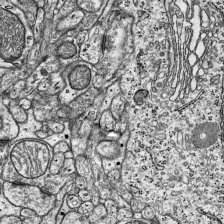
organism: Mouse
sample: Visual Cortex